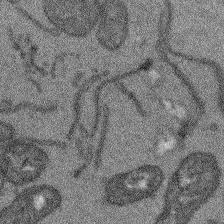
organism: Arabidopsis thaliana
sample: Root tip